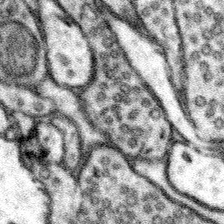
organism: Mouse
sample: Somatosensory cortex neuropil